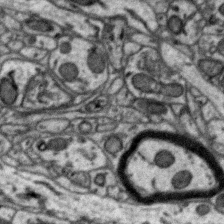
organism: Zebra finch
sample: Brain